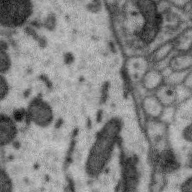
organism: Zebra finch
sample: Brain